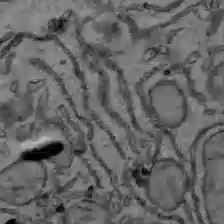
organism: C57BL Mouse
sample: Liver